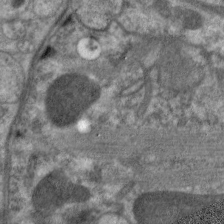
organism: C. elegans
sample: Pharynx